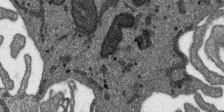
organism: Human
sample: Lung epithelial cells infected with SARS-CoV-2